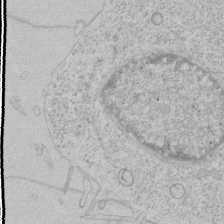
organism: Human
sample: Mitochondria in HCT116 cells